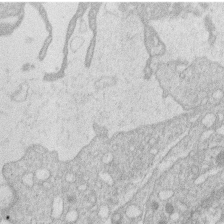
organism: Human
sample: Macrophage cells